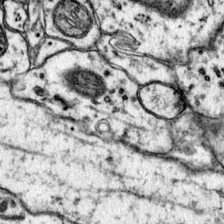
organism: Mouse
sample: Primary visual cortex